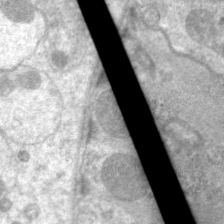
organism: C. elegans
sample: Pharynx